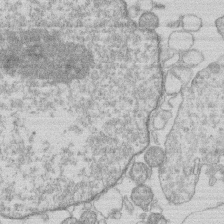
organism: Human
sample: Macrophage cells